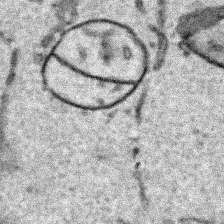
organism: Human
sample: Mitochondria in HCT116 cells